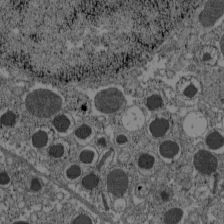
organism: C57BL Mouse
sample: Pancreatic islet